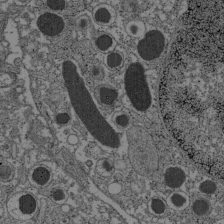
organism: C57BL Mouse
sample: Pancreatic islet